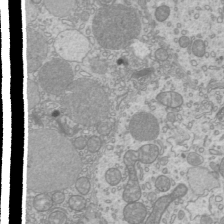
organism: Mouse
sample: Cilia; mouse epididymis